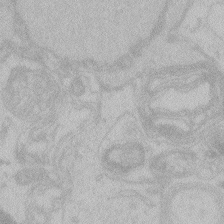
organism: Zebrafish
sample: Macrophage infected with Toxoplasma gondii